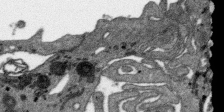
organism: Human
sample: Lung epithelial cells, uninfected (mock) control